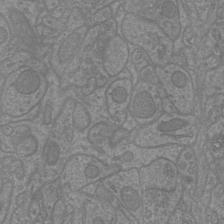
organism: Mouse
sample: Cortical neurons